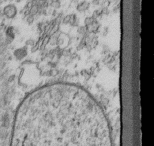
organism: Mouse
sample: Cilia; retinal pigment epithelium